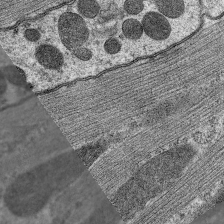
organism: C. elegans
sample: Pharynx